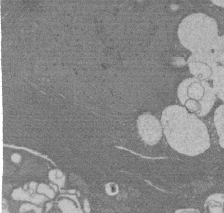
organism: Rat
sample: Salivary granule